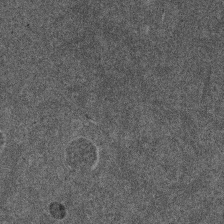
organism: Mouse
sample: Dividing mouse embryo 1 cell stage